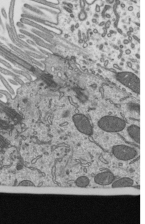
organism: Mouse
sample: Mouse epididymis efferent ductule cilia